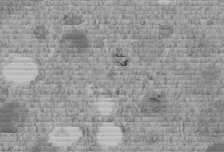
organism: C. elegans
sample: C. elegans embryo early stage